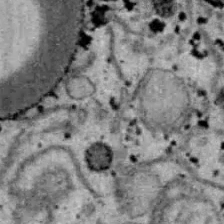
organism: Mouse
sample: Liver from an obese (ob/ob) mouse